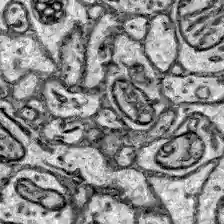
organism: Zebrafish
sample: Brain